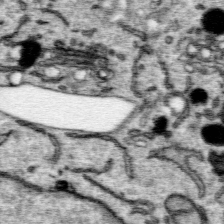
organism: Human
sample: HeLa cells